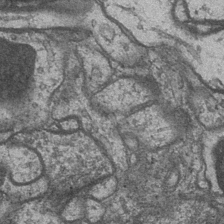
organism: Drosophila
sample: Optic medulla